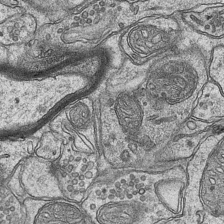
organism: Mouse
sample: CA1 Hippocampus